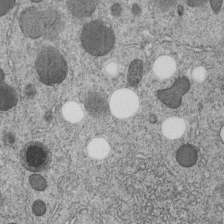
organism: C. elegans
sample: C. elegans embryo early stage